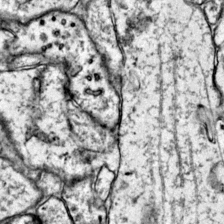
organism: Mouse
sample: Primary visual cortex